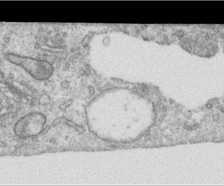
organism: Human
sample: Centriole in RPE cells